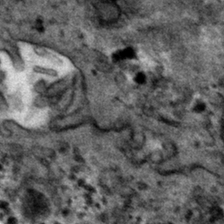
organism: Mouse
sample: Mouse hepatocytes